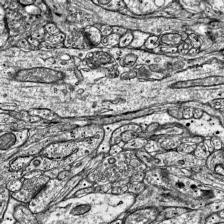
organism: Mouse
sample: Visual Cortex